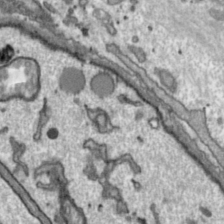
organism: Toxoplasma gondii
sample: Parasites in a vacuole inside a host cell